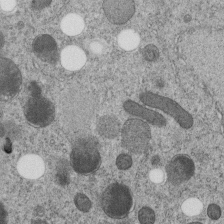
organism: C. elegans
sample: C. elegans embryo early stage